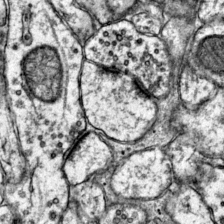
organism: Mouse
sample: Primary visual cortex